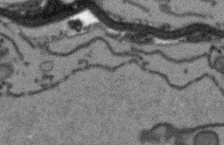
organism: Arabidopsis thaliana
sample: Root tip